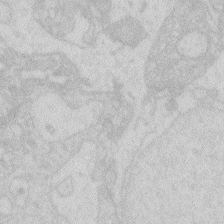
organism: Zebrafish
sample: Macrophage